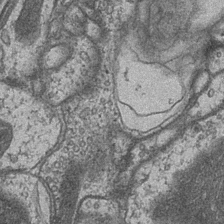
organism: Drosophila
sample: Optic medulla